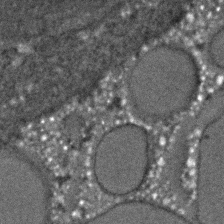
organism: C. elegans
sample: C. elegans embryo